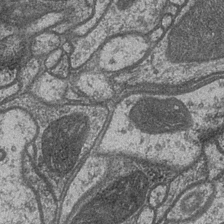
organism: Drosophila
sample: Optic medulla